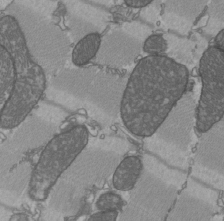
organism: C57BL Mouse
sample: Heart